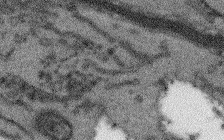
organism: Arabidopsis thaliana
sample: Root tip